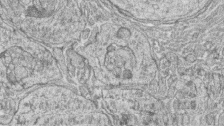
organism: Zebrafish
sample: synaptic ribbons in rod cells and cone cells